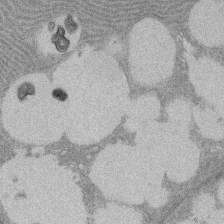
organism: Rat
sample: Salivary granule